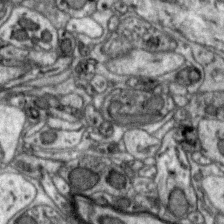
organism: Zebra finch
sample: Brain